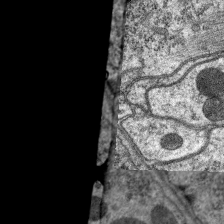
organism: C. elegans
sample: Pharynx